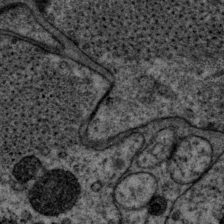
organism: P. pacificus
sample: Pharynx